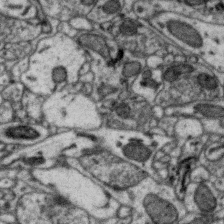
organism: Zebra finch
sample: Brain